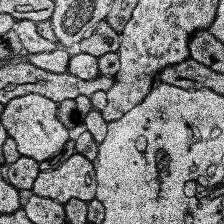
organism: Human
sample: Temporal Lobe